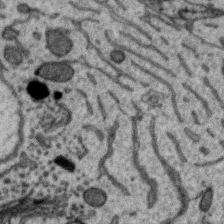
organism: Zebra finch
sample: Brain